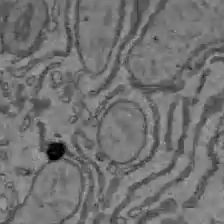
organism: C57BL Mouse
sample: Liver